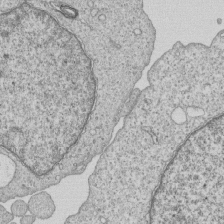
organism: Human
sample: MDA-MB-231 cells